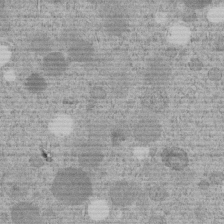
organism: C. elegans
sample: C. elegans embryo early stage